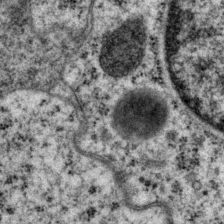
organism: P. pacificus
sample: Pharynx